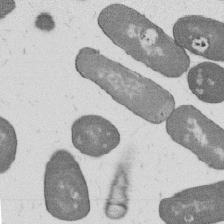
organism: B. subtilis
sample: Bacterial spore